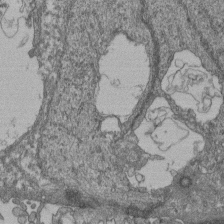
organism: Human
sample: Retinal organoid Rod and Cone cells